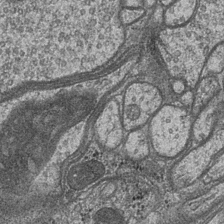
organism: Drosophila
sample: Optic medulla